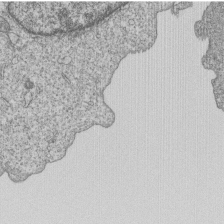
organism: Human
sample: MDA-MB-231 cells